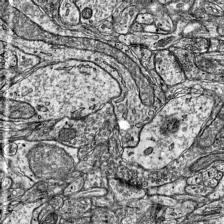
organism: Mouse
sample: Visual Cortex